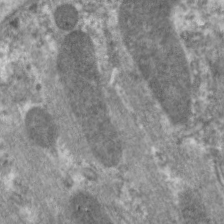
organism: C. elegans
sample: Pharynx